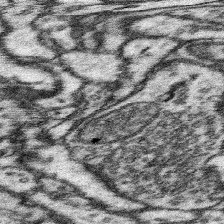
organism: Mouse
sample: Somatosensory cortex neuropil